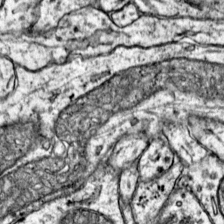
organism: Mouse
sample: Primary visual cortex